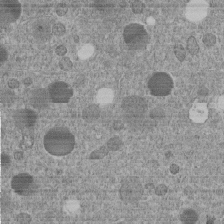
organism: C. elegans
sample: C. elegans embryo early stage